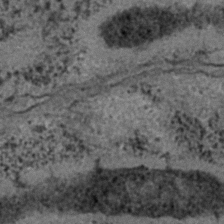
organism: C. elegans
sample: C. elegans embryo